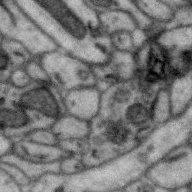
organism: Zebra finch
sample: Brain